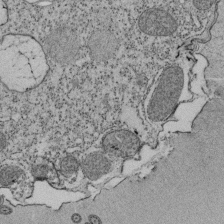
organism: Tetrahymena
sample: Cilia in tetrahymena